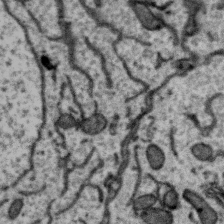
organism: Zebra finch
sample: Brain